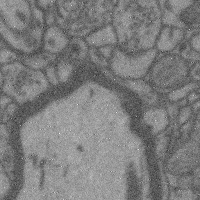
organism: Mouse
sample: Cerebral cortex